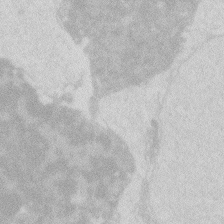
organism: Zebrafish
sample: Macrophage